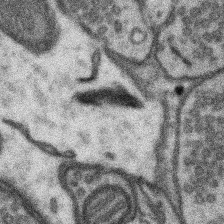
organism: Mouse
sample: Somatosensory cortex neuropil